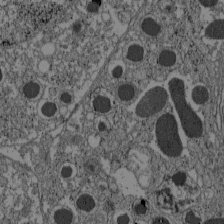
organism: C57BL Mouse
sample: Pancreatic islet